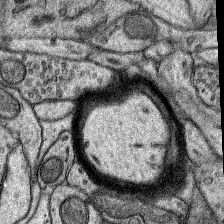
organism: Rat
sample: Hippocampus